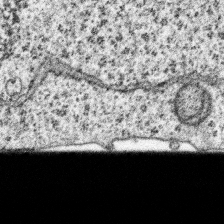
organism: Human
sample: HeLa cells